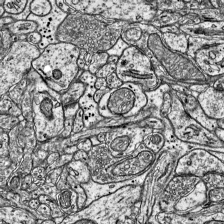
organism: Mouse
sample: Visual Cortex